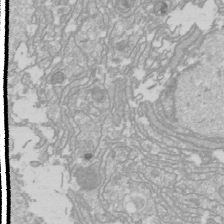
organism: Drosophila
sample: Cell division; meiosis; drosophila spermatocytes